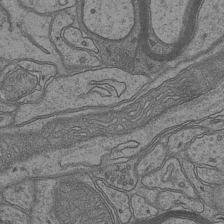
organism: Mouse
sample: CA1 Hippocampus